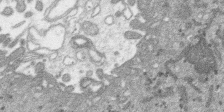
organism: Human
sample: Lung epithelial cells infected with SARS-CoV-2